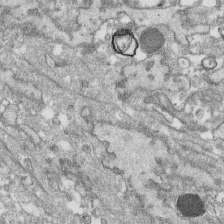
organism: Human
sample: CRL-1474